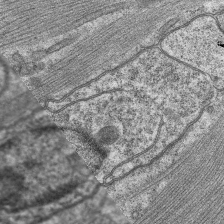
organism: C. elegans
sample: Pharynx